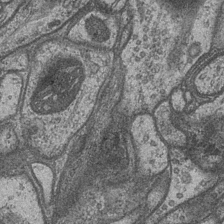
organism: Drosophila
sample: Optic medulla